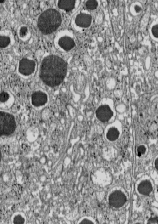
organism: C57BL Mouse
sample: Pancreatic islet